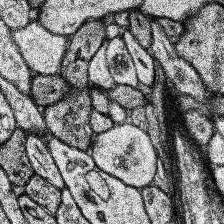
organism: Human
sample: Temporal Lobe